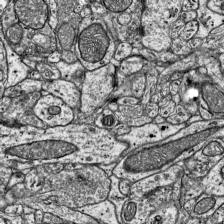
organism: Mouse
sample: Visual Cortex